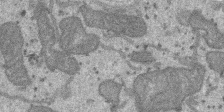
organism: Human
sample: Lung epithelial cells infected with SARS-CoV-2